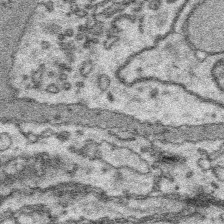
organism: Platynereis dumerilii